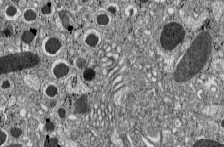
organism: C57BL Mouse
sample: Pancreatic islet